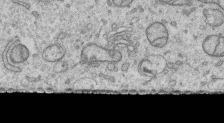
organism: Human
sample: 1205lu cells